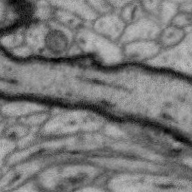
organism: Zebra finch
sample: Brain